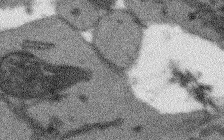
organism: Arabidopsis thaliana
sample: Root tip